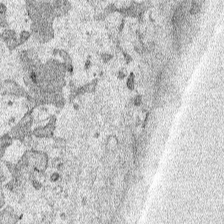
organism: Human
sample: Mitochondria in HCT116 cells